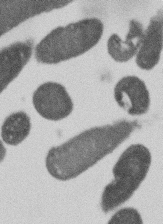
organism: E. coli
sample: Bacterial nucleoid